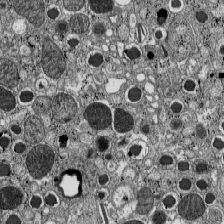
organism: C57BL Mouse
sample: Pancreatic islet